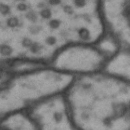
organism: Drosophila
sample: Brain